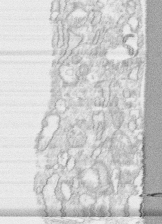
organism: Human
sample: CRL-1474